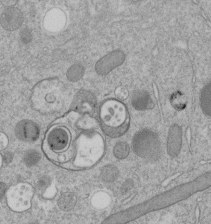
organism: C. elegans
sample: C. elegans embryo early stage